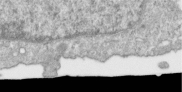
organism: Human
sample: Centriole in RPE cells